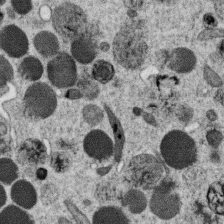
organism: C. elegans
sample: C. elegans oocyte; sperm cells